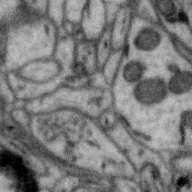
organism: Zebra finch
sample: Brain